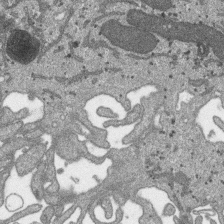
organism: Human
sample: Lung epithelial cells infected with SARS-CoV-2